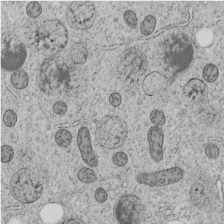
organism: C. elegans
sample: C. elegans embryo early stage